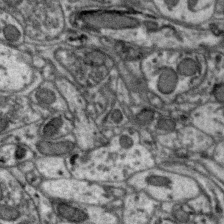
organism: Zebra finch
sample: Brain